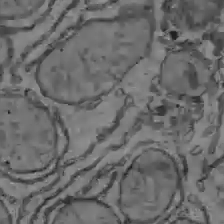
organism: C57BL Mouse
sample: Liver